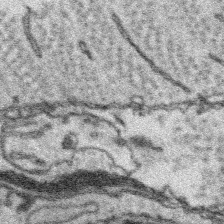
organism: Platynereis dumerilii